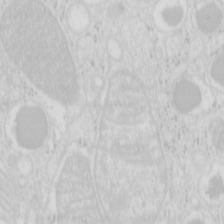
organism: Mouse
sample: Pancreas